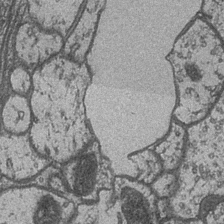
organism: Drosophila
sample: Optic medulla